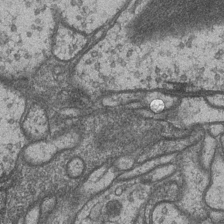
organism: Drosophila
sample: Optic medulla